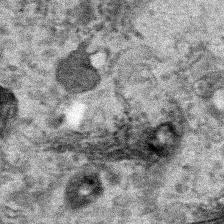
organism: Human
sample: Mitochondria in HCT116 cells